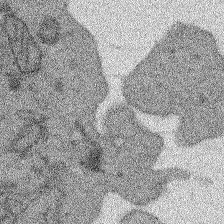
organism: Human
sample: HeLa cells